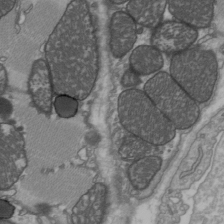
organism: C57BL Mouse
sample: Heart